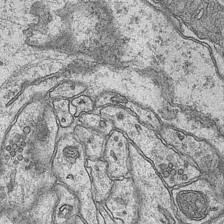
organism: Mouse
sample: CA1 Hippocampus